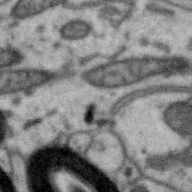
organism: Zebra finch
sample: Brain